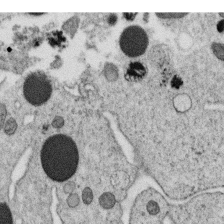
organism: C. elegans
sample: C. elegans oocyte; sperm cells